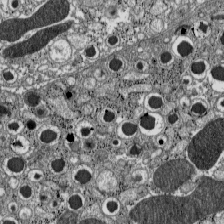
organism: C57BL Mouse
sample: Pancreatic islet